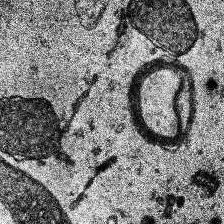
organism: Human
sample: Temporal Lobe